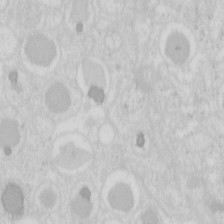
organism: Mouse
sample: Pancreas